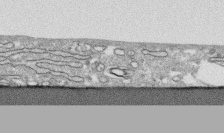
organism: Human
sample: CRL-1474